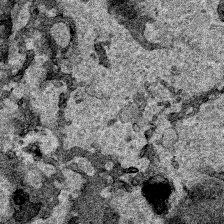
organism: Human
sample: Mitochondria in HCT116 cells